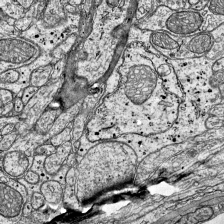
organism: Mouse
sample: Visual Cortex